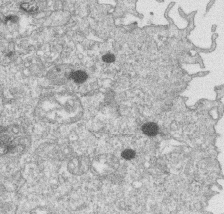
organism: Human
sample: HeLa cell HIV synapse